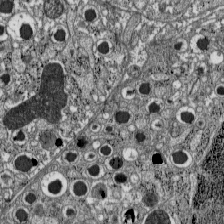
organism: C57BL Mouse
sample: Pancreatic islet